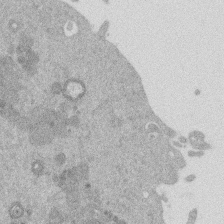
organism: Mouse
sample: Dividing mouse embryo 1 cell stage